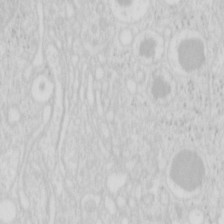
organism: Mouse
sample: Pancreas